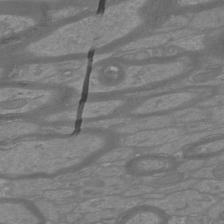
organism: Mouse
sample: Cortical neurons